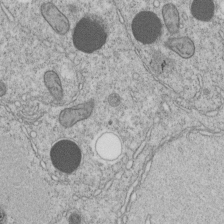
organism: C. elegans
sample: C. elegans embryo early stage